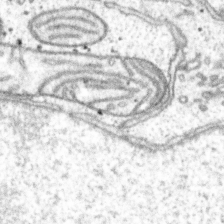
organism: Human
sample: HeLa cells